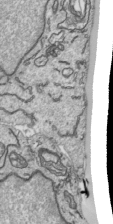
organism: Human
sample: Mitochondria in HCT116 cells